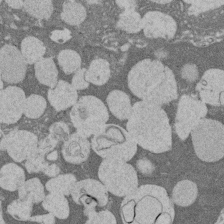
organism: Rat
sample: Salivary granule